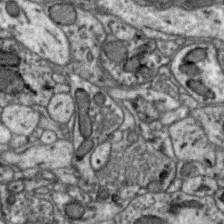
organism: Zebra finch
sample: Brain